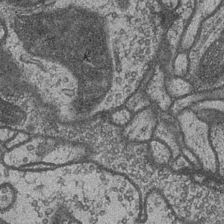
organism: Drosophila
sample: Optic medulla